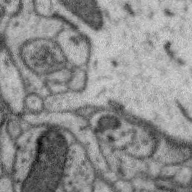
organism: Zebra finch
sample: Brain